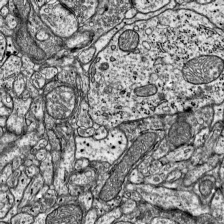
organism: Mouse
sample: Visual Cortex